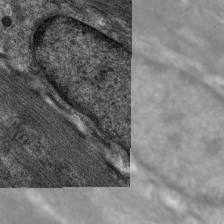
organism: C. elegans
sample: Pharynx